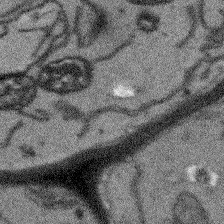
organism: Arabidopsis thaliana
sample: Root tip